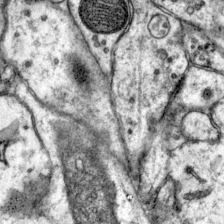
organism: Mouse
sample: Primary visual cortex